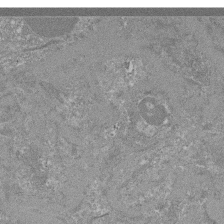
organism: Mouse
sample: Glomerulus